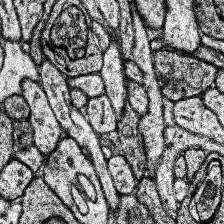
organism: Human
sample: Temporal Lobe